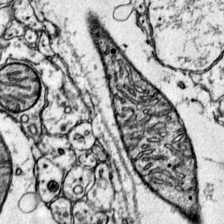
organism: Mouse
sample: Primary visual cortex